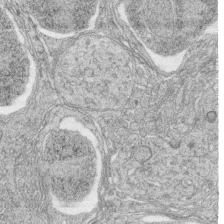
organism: Zebrafish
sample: synaptic ribbons in rod cells and cone cells